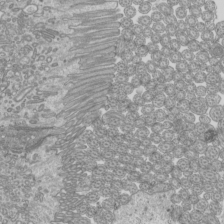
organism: Mouse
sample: Cilia; mouse epididymis